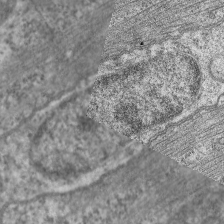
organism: C. elegans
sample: Pharynx